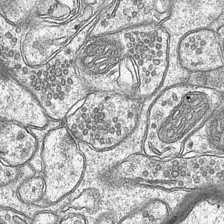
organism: Mouse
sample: CA1 Hippocampus